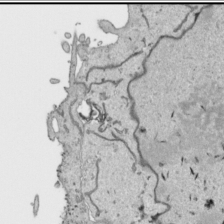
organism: Human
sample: Mitochondria in HCT116 cells